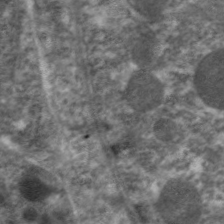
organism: C. elegans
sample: Pharynx